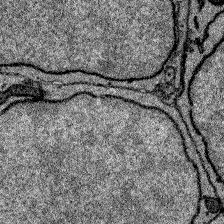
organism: Zebrafish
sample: Larval olfactory bulb